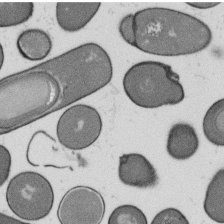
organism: B. subtilis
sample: Bacterial spore